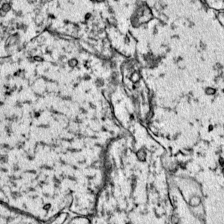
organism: Mouse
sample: Primary visual cortex